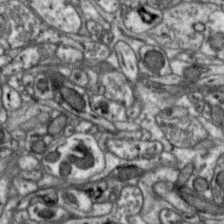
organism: Zebra finch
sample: Brain